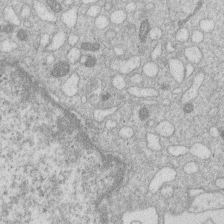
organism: Human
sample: Macrophage cells